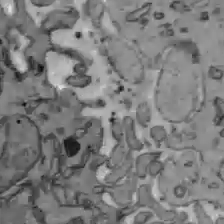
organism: C57BL Mouse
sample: Liver